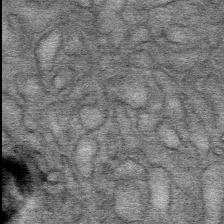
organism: Mouse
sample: Mouse Salivary gland